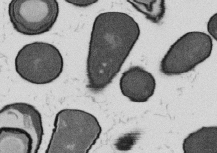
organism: B. subtilis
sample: Bacterial spore